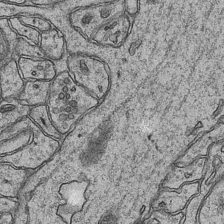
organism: Mouse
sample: CA1 Hippocampus